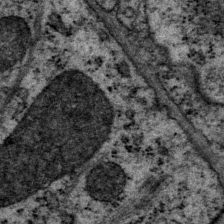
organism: P. pacificus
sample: Pharynx